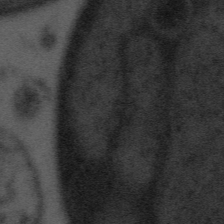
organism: Tuwongella immobilis